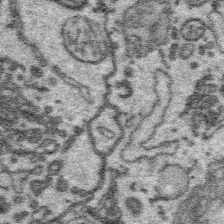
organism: Platynereis dumerilii